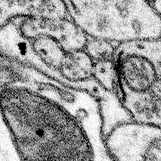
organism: Mouse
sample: Somatosensory cortex neuropil